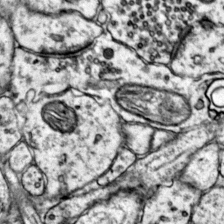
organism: Mouse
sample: Primary visual cortex